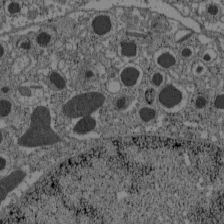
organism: C57BL Mouse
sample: Pancreatic islet